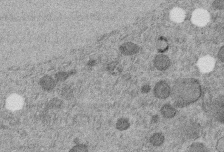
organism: C. elegans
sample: C. elegans embryo early stage